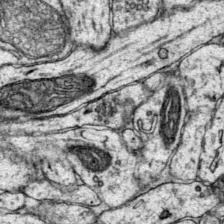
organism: Mouse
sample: Primary visual cortex